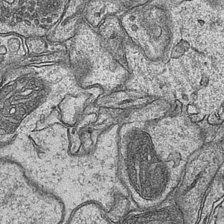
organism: Mouse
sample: CA1 Hippocampus